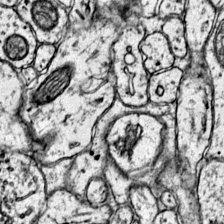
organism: Mouse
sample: Primary visual cortex